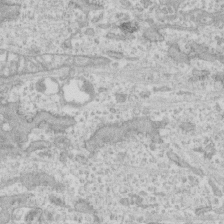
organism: Human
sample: CRL-1474